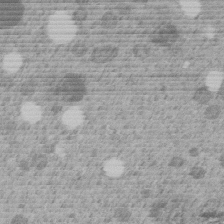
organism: C. elegans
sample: C. elegans embryo early stage